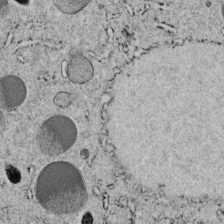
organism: C. elegans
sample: C. elegans embryo early stage